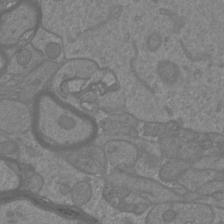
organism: Mouse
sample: Cortical neurons